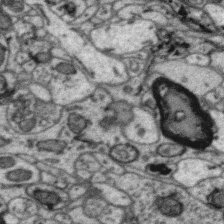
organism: Zebra finch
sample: Brain